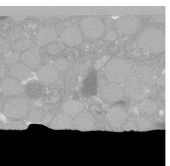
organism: C. elegans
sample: C. elegans oocyte; sperm cells